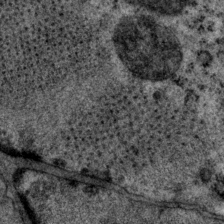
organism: P. pacificus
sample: Pharynx